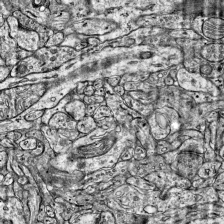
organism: Mouse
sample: Visual Cortex